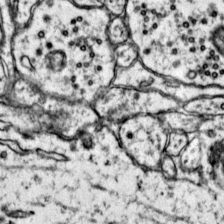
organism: Mouse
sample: Primary visual cortex